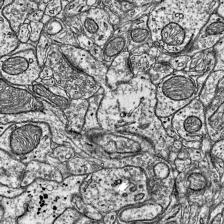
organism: Mouse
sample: Visual Cortex